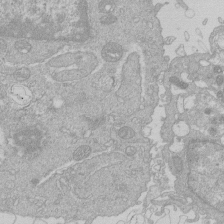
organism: Human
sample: Macrophage cells